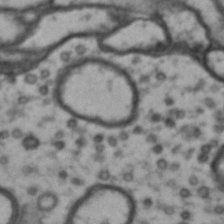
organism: Drosophila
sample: Brain